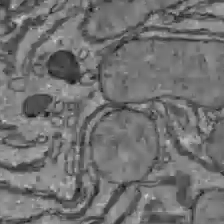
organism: C57BL Mouse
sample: Liver